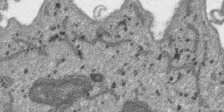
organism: Human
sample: Lung epithelial cells infected with SARS-CoV-2